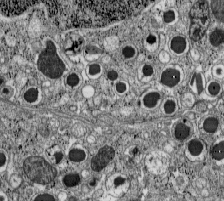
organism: C57BL Mouse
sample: Pancreatic islet